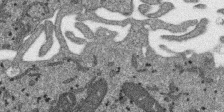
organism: Human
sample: Lung epithelial cells infected with SARS-CoV-2